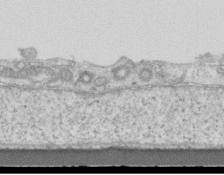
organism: Mouse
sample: Centriole in ependymal cells